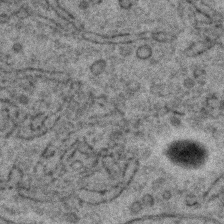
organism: C. elegans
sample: C. elegans embryo